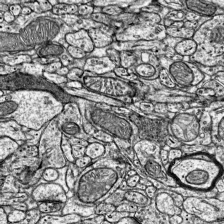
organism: Mouse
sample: Visual Cortex